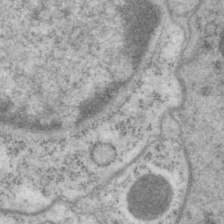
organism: P. pacificus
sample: Pharynx